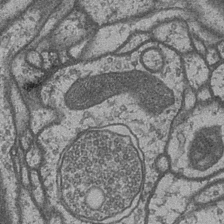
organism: Drosophila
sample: Optic medulla